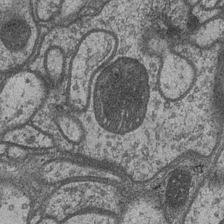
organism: Drosophila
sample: Optic medulla